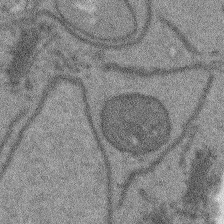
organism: Arabidopsis thaliana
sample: Root tip